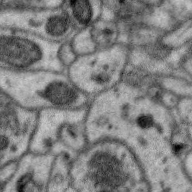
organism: Zebra finch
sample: Brain